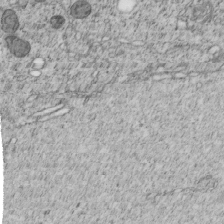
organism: C. elegans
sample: C. elegans embryo early stage